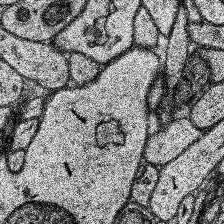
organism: Human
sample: Temporal Lobe